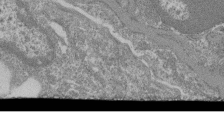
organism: Mouse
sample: Glomerulus